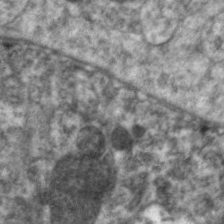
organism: C. elegans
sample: Pharynx